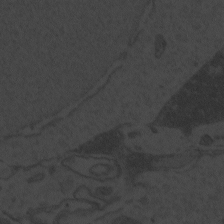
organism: Zebrafish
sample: Macrophage infected with Toxoplasma gondii